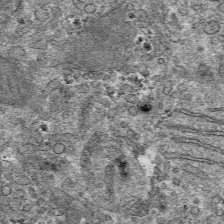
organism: Mouse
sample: Mouse hepatocytes